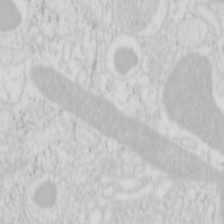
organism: Mouse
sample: Pancreas